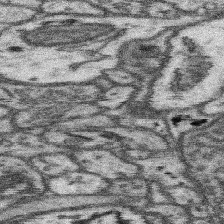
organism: Mouse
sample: Somatosensory cortex neuropil